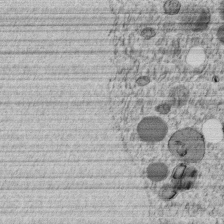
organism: C. elegans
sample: C. elegans embryo early stage